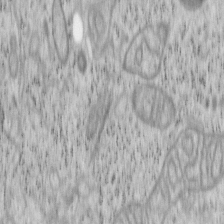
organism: Human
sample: HeLa cells